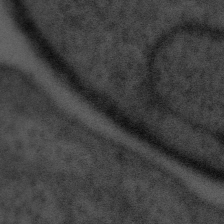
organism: Tuwongella immobilis